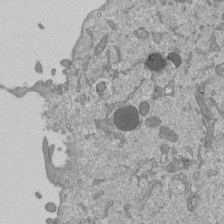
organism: Mouse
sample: ED-1 cell nuclei; centrioles